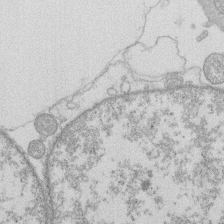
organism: Human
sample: Macrophage cells